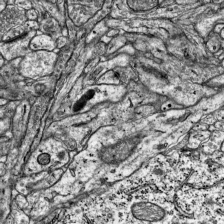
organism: Mouse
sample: Visual Cortex